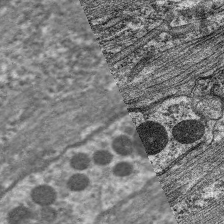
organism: C. elegans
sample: Pharynx